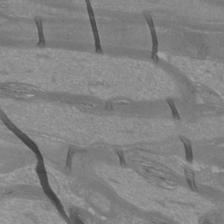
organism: Mouse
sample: Cortical neurons